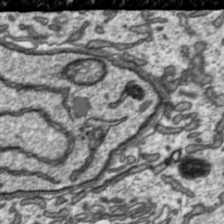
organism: Toxoplasma gondii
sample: Parasites in a vacuole inside a host cell